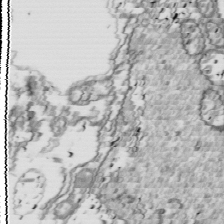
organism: Drosophila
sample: Cell division; meiosis; drosophila spermatocytes